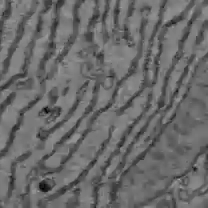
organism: C57BL Mouse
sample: Liver